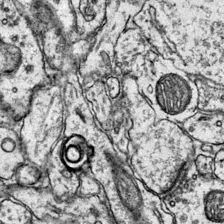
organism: Mouse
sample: Primary visual cortex